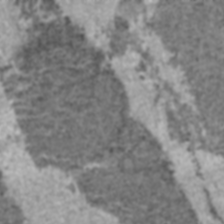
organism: C57BL Mouse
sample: Heart